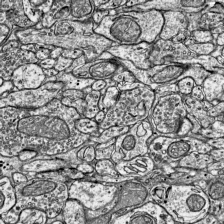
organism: Mouse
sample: Visual Cortex